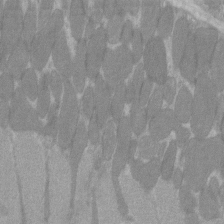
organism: C57BL Mouse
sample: Tibialis anterior muscle cell